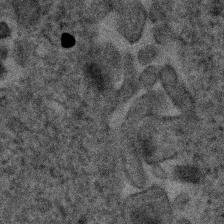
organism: Human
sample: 1205lu cells